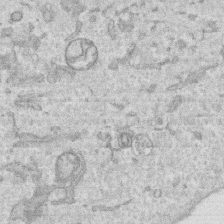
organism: Human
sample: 1205lu cells